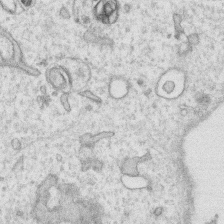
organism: Human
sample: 1205lu cells